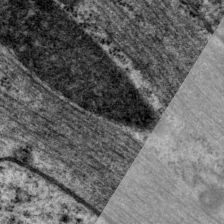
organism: P. pacificus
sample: Pharynx